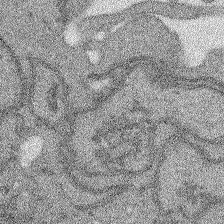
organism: Human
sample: HeLa cells